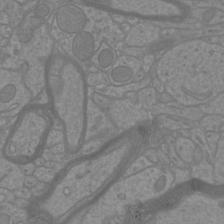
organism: Mouse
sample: Cortical neurons